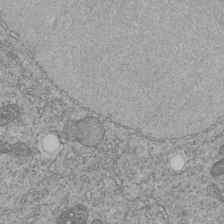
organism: C. elegans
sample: C. elegans embryo early stage